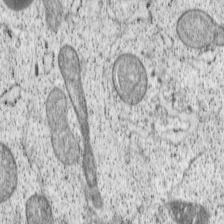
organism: African green monkey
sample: COS-7 cells